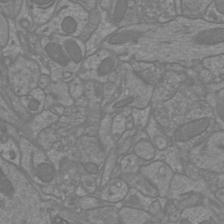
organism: Mouse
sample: Cortical neurons